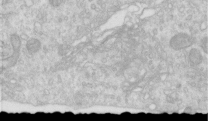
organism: Human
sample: Centriole in RPE cells